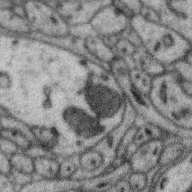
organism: Zebra finch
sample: Brain